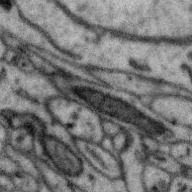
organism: Zebra finch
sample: Brain